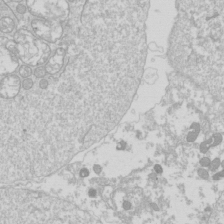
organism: Drosophila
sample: Cell division; meiosis; drosophila spermatocytes